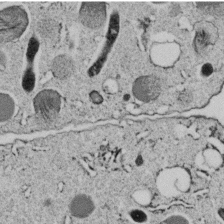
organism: C. elegans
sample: C. elegans embryo early stage